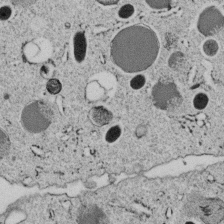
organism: C. elegans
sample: C. elegans embryo early stage